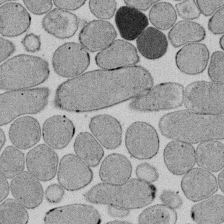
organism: E. coli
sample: Bacterial nucleoid